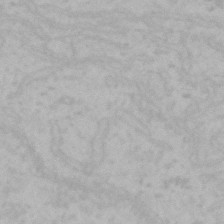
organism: Mouse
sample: Choroid plexus